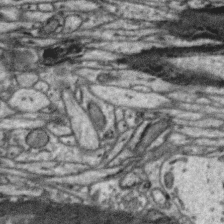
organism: Zebra finch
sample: Brain